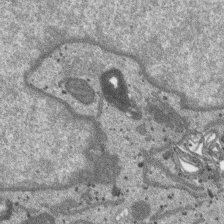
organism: Human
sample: Lung epithelial cells infected with SARS-CoV-2